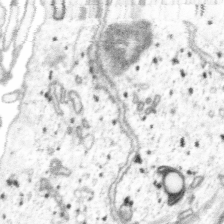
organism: Human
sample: HeLa cells